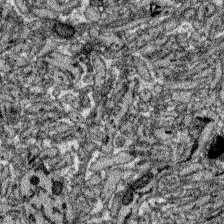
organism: Zebrafish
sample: Larval olfactory bulb